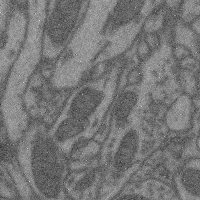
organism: Mouse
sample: Cerebral cortex